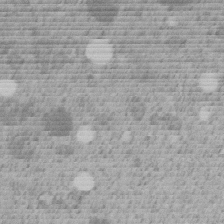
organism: C. elegans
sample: C. elegans embryo early stage